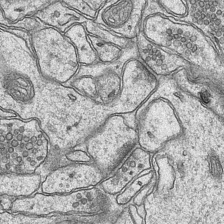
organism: Mouse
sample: CA1 Hippocampus